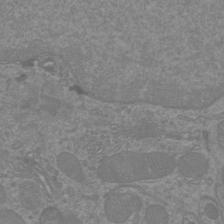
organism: Mouse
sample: Cortical neurons